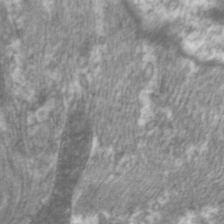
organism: C. elegans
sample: Pharynx